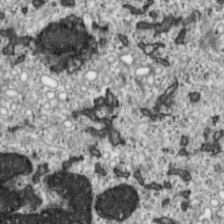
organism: Toxoplasma gondii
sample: Parasites in a vacuole inside a host cell